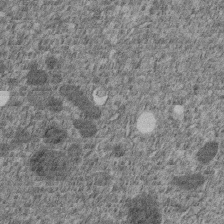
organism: C. elegans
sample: C. elegans embryo early stage